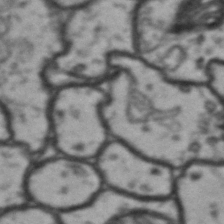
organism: Drosophila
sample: Brain